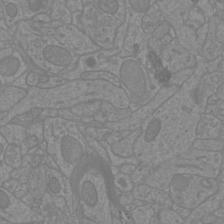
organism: Mouse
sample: Cortical neurons